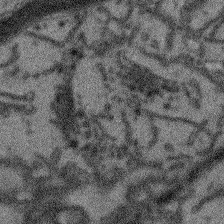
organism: Arabidopsis thaliana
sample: Root tip